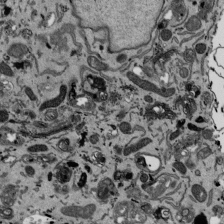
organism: Mouse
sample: ED-1 cell nuclei; centrioles